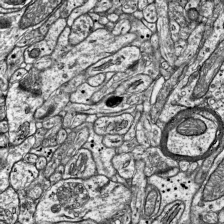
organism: Mouse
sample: Visual Cortex